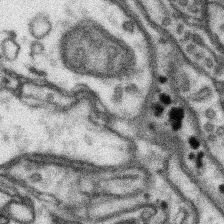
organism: Mouse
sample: Somatosensory cortex neuropil